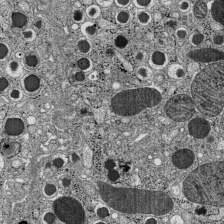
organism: C57BL Mouse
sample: Pancreatic islet